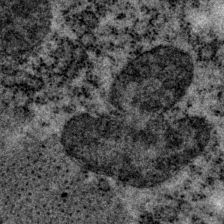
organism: P. pacificus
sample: Pharynx